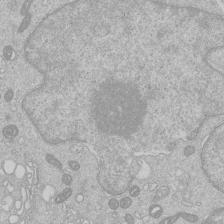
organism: Human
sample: Macrophage cells